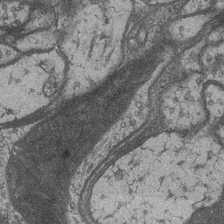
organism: Drosophila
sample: Optic medulla